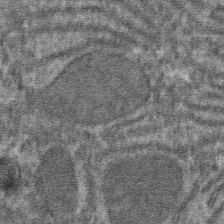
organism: Mouse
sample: Mouse hepatocytes